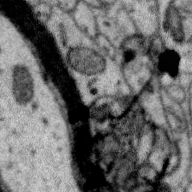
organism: Zebra finch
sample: Brain